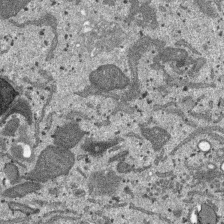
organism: Human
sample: Lung epithelial cells infected with SARS-CoV-2